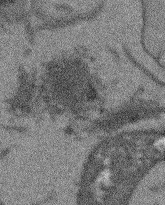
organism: Arabidopsis thaliana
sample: Root tip